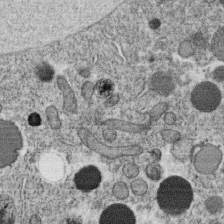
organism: C. elegans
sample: C. elegans oocyte; sperm cells